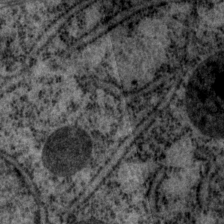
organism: P. pacificus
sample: Pharynx